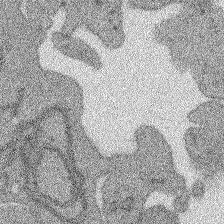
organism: Human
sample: HeLa cells